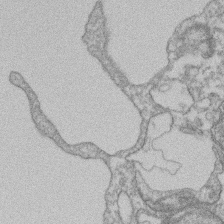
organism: Mouse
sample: T cell stromal cell synapse